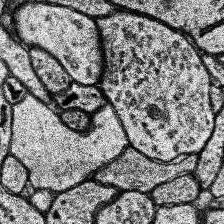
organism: Human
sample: Temporal Lobe